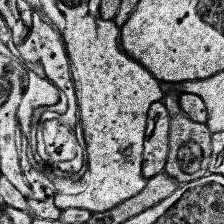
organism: Human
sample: Temporal Lobe